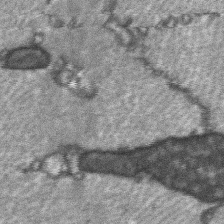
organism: C57BL Mouse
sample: Soleus